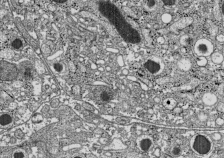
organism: C57BL Mouse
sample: Pancreatic islet